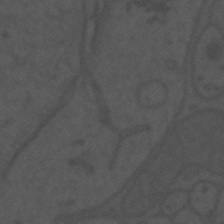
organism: Mouse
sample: Suprachiasmatic nucleus